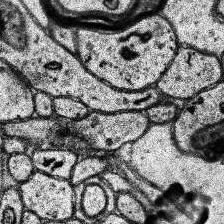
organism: Human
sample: Temporal Lobe